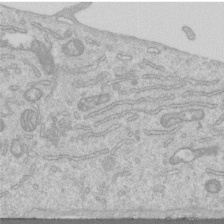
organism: Human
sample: Centriole in RPE cells